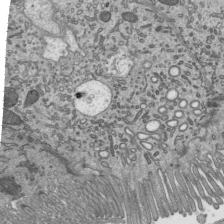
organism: Mouse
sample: Mouse epididymis efferent ductule cilia